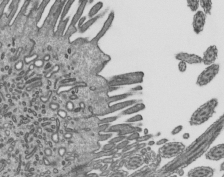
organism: Mouse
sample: Mouse epididymis efferent ductule cilia